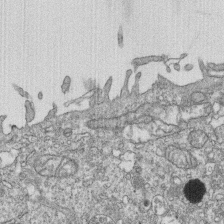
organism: Human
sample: HeLa cell HIV synapse